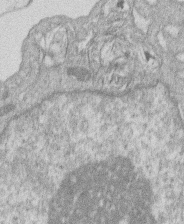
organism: Human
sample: Macrophage cells